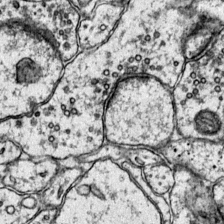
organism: Mouse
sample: Primary visual cortex